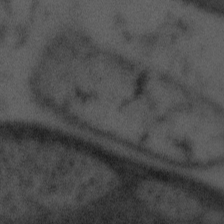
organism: Tuwongella immobilis